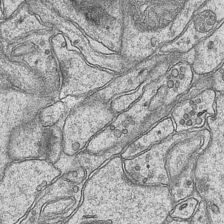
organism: Mouse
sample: CA1 Hippocampus